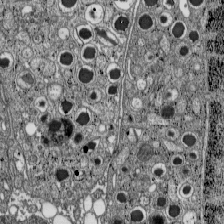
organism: C57BL Mouse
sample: Pancreatic islet